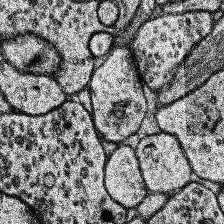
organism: Human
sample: Temporal Lobe